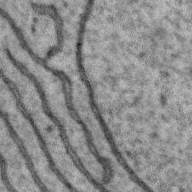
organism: Zebra finch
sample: Brain